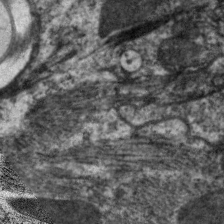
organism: C. elegans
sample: Pharynx